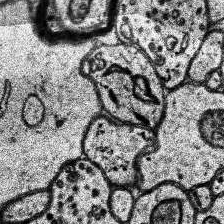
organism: Human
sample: Temporal Lobe